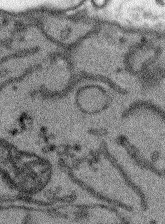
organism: Arabidopsis thaliana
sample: Root tip